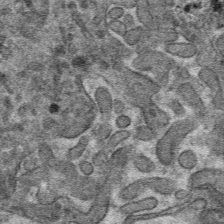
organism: Mouse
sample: Mouse hepatocytes